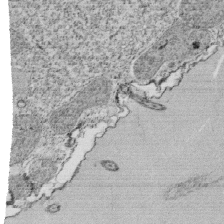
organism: Tetrahymena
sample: Cilia in tetrahymena